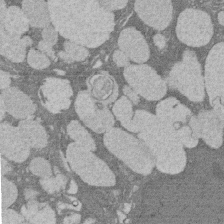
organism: Rat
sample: Salivary granule